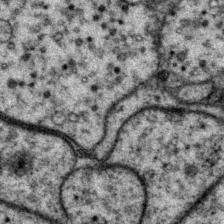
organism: P. pacificus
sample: Pharynx